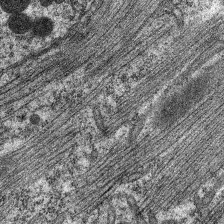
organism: C. elegans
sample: Pharynx